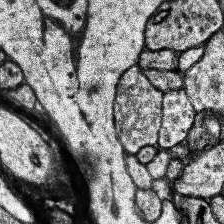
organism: Human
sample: Temporal Lobe